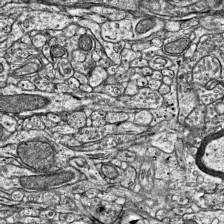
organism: Mouse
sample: Visual Cortex